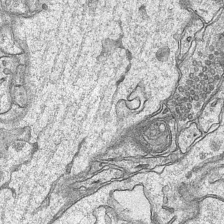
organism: Mouse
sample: CA1 Hippocampus